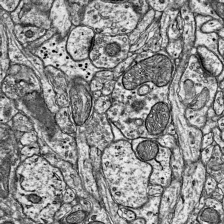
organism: Mouse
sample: Visual Cortex